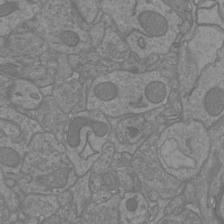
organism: Mouse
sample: Cortical neurons